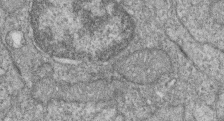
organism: Zebrafish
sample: Cilia; retinal pigment epithelium